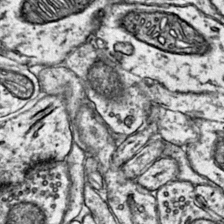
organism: Mouse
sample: Primary visual cortex